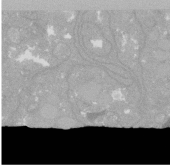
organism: C. elegans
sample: C. elegans oocyte; sperm cells